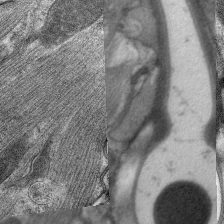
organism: C. elegans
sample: Pharynx